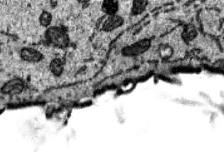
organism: Human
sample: HeLa cells